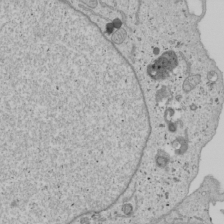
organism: Human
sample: Mitochondria in U2OS cells